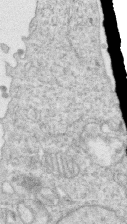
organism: Human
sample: HeLa cell HIV synapse